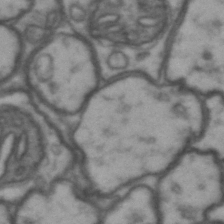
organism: Drosophila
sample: Brain